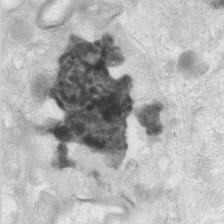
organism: Human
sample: Neocortex